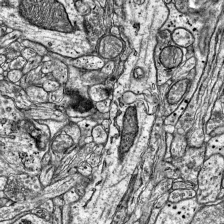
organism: Mouse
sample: Visual Cortex